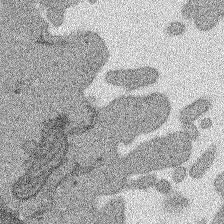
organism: Human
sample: HeLa cells